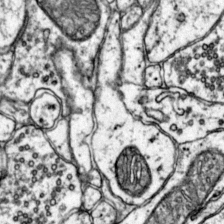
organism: Mouse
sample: Primary visual cortex